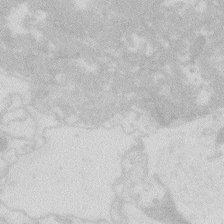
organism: Zebrafish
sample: Macrophage